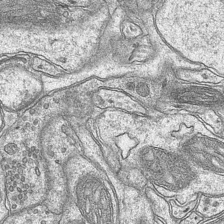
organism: Mouse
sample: CA1 Hippocampus